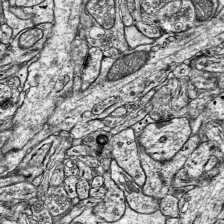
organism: Mouse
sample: Visual Cortex